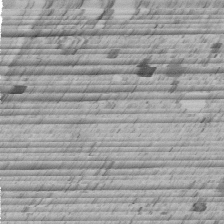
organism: C. elegans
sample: C. elegans embryo early stage